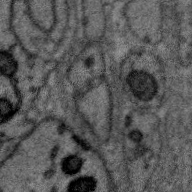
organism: Zebra finch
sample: Brain